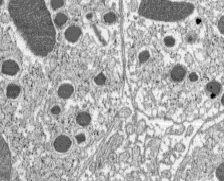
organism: C57BL Mouse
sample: Pancreatic islet